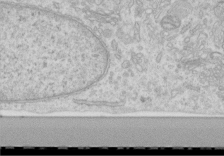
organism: Human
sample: Centriole in RPE cells